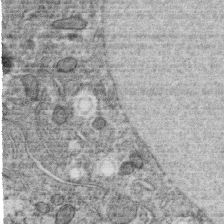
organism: C. elegans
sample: C. elegans oocyte; sperm cells